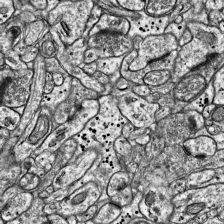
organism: Mouse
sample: Visual Cortex